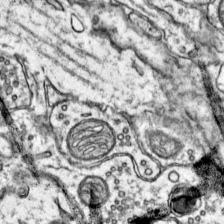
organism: Mouse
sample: Primary visual cortex